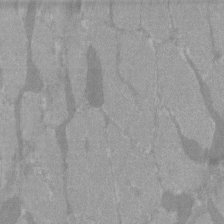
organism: C57BL Mouse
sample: Tibialis anterior muscle cell